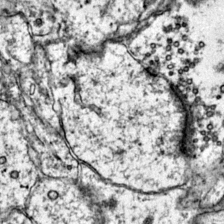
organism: Mouse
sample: Primary visual cortex